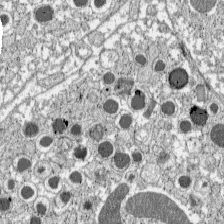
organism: C57BL Mouse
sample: Pancreatic islet